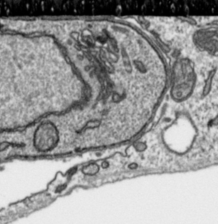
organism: Toxoplasma gondii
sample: Parasites in a vacuole inside a host cell